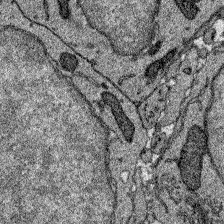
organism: Zebrafish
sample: Larval olfactory bulb